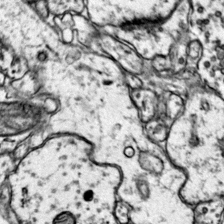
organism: Mouse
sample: Primary visual cortex